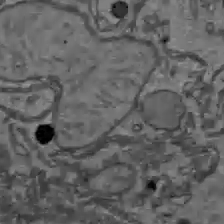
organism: C57BL Mouse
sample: Liver